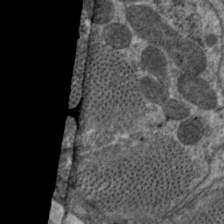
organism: C. elegans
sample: Pharynx